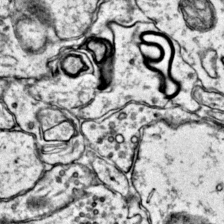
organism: Mouse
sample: Primary visual cortex